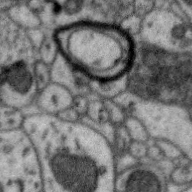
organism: Zebra finch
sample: Brain